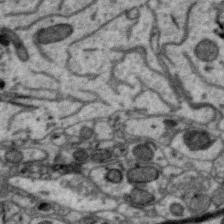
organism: Zebra finch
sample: Brain